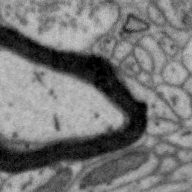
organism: Zebra finch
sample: Brain